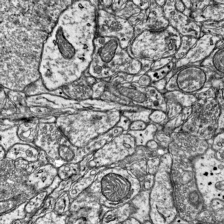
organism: Mouse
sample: Visual Cortex